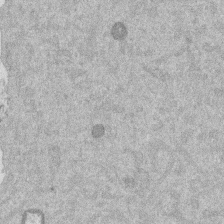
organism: Mouse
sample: Dividing mouse embryo 1 cell stage